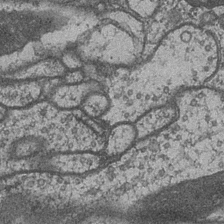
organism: Drosophila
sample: Optic medulla